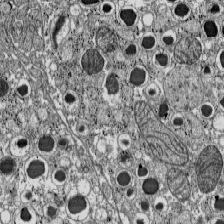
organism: C57BL Mouse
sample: Pancreatic islet